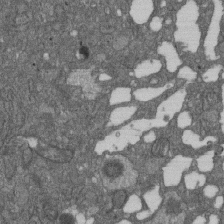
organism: Drosophila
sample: Nephrocyte